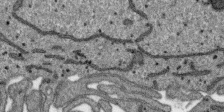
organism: Human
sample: Lung epithelial cells, uninfected (mock) control